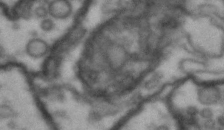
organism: Drosophila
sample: Brain